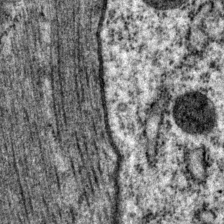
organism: P. pacificus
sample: Pharynx